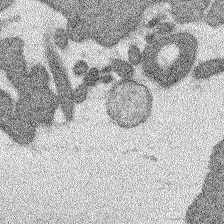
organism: Human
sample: HeLa cells